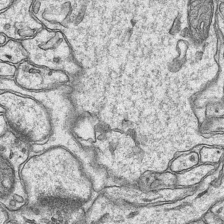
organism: Mouse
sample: CA1 Hippocampus